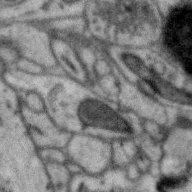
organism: Zebra finch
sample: Brain